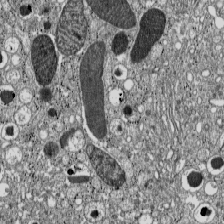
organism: C57BL Mouse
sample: Pancreatic islet